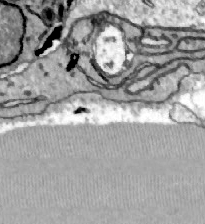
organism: Zebrafish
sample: Actinotrichia fibers